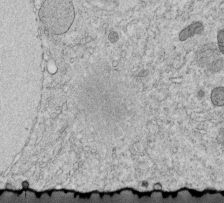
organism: C. elegans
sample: C. elegans embryo early stage